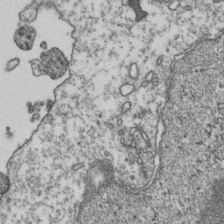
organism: Human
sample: Activated Jurkat CD4+ T cells